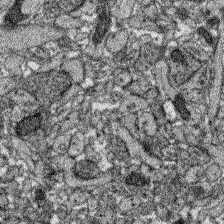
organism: Zebrafish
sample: Larval olfactory bulb